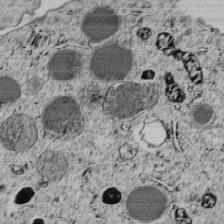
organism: C. elegans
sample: C. elegans embryo early stage